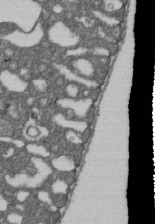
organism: Drosophila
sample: Nephrocyte